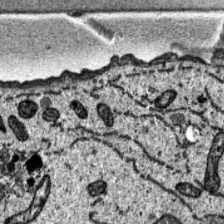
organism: Human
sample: HeLa cells